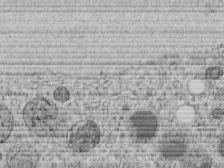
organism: C. elegans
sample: C. elegans embryo early stage